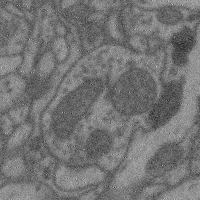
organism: Mouse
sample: Cerebral cortex